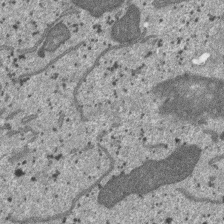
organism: Human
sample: Lung epithelial cells infected with SARS-CoV-2